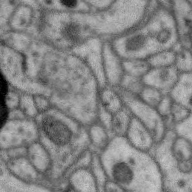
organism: Zebra finch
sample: Brain